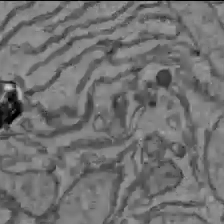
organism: C57BL Mouse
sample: Liver